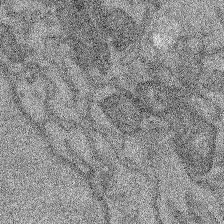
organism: Human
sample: HeLa cells